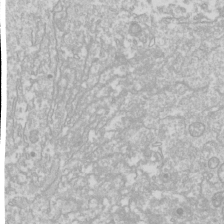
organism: Drosophila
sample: Cell division; meiosis; drosophila spermatocytes